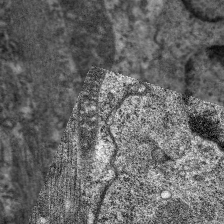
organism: C. elegans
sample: Pharynx